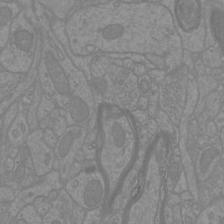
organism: Mouse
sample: Cortical neurons